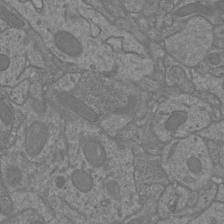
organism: Mouse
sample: Cortical neurons